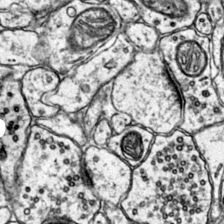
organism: Mouse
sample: Primary visual cortex